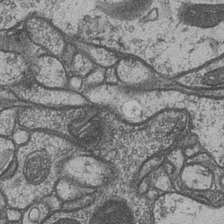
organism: Drosophila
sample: Optic medulla